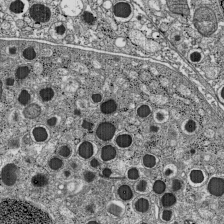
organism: C57BL Mouse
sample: Pancreatic islet